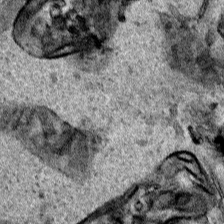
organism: Human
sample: Mitochondria in HCT116 cells